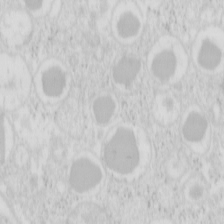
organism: Mouse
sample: Pancreas